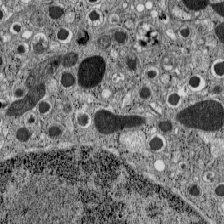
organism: C57BL Mouse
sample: Pancreatic islet